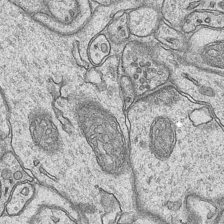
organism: Mouse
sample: CA1 Hippocampus